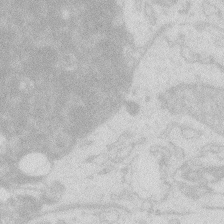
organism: Zebrafish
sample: Macrophage